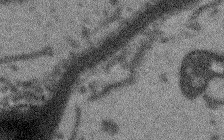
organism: Arabidopsis thaliana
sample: Root tip